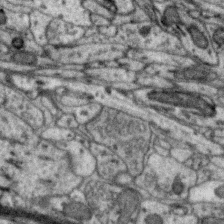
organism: Zebra finch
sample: Brain